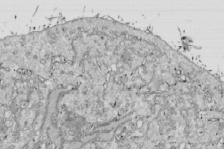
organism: Drosophila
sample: Cell division; meiosis; drosophila spermatocytes